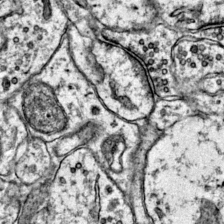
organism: Mouse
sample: Primary visual cortex